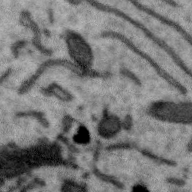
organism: Zebra finch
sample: Brain